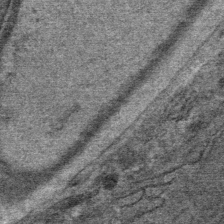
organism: Mouse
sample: Mouse Salivary gland